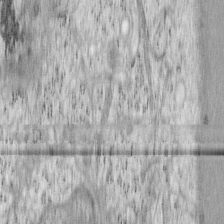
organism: Human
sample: HeLa cells